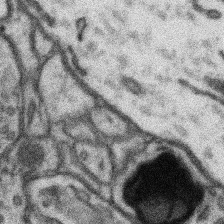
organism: Mouse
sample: Somatosensory cortex neuropil